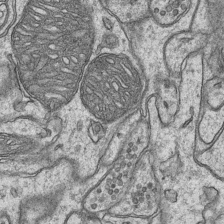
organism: Mouse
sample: CA1 Hippocampus